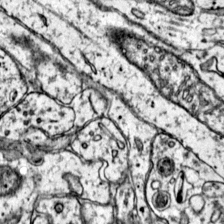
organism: Mouse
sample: Primary visual cortex